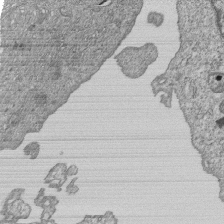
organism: Human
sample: MDA-MB-231 cells